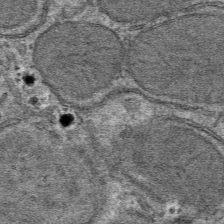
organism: Mouse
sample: Mouse hepatocytes